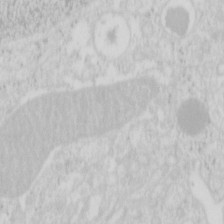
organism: Mouse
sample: Pancreas